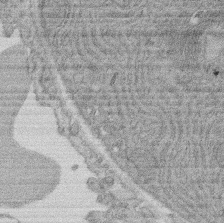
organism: Rat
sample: Salivary granule